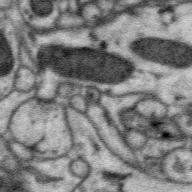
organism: Zebra finch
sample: Brain